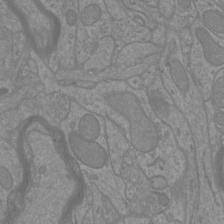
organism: Mouse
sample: Cortical neurons